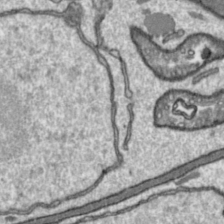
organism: Toxoplasma gondii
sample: Parasites in a vacuole inside a host cell